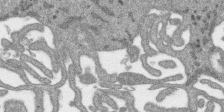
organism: Human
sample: Lung epithelial cells infected with SARS-CoV-2